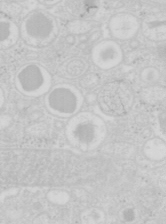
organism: Mouse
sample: Pancreas